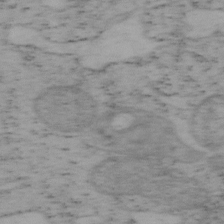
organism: Mouse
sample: OT-I killer T cells with ID8 ovarian cancer cells